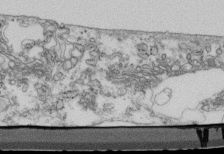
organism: Mouse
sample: Cilia; retinal pigment epithelium